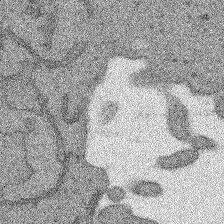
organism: Human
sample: HeLa cells